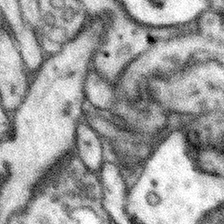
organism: Mouse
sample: Somatosensory cortex neuropil